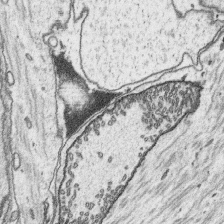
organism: Platynereis dumerilii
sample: Parapodia